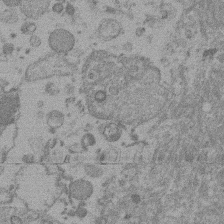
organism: Mouse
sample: Dividing mouse embryo 1 cell stage